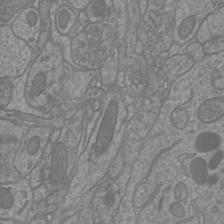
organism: Mouse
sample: Cortical neurons